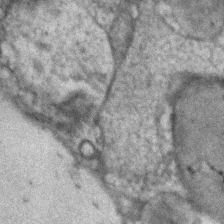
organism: Human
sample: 1205lu cells